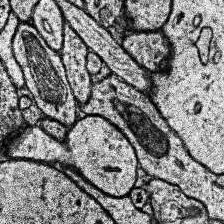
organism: Human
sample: Temporal Lobe